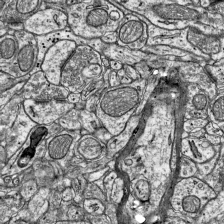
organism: Mouse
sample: Visual Cortex